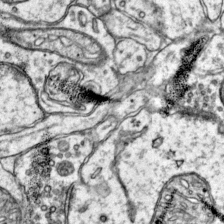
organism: Mouse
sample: Primary visual cortex